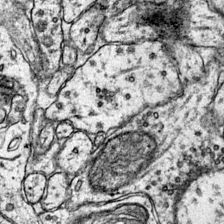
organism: Mouse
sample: Primary visual cortex